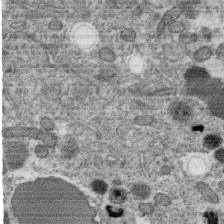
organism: C. elegans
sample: C. elegans oocyte; sperm cells